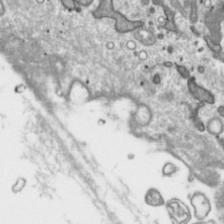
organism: Toxoplasma gondii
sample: Parasites in a vacuole inside a host cell